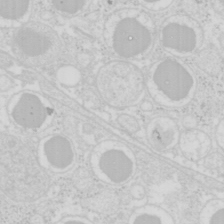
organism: Mouse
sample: Pancreas